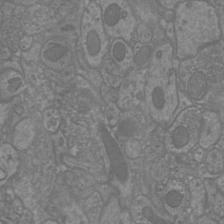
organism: Mouse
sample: Cortical neurons